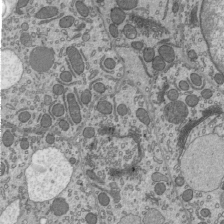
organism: Mouse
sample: Mouse epididymis efferent ductule cilia